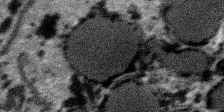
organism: Human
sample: Lung epithelial cells infected with SARS-CoV-2